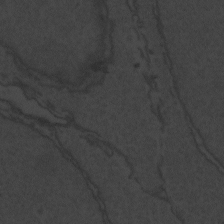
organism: Zebrafish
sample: Macrophage infected with Toxoplasma gondii